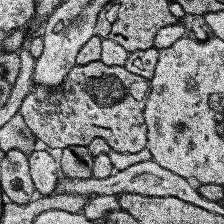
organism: Human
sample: Temporal Lobe